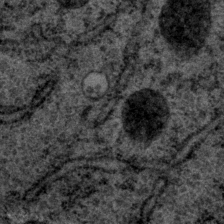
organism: P. pacificus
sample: Pharynx